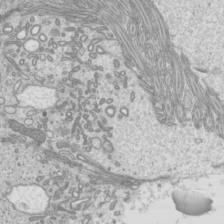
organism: Mouse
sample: Cilia; mouse epididymis